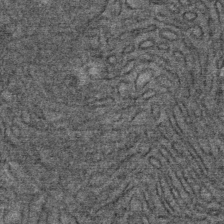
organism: Mouse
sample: Mouse Salivary gland